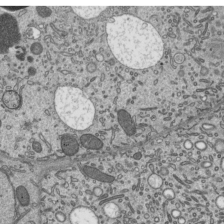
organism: Mouse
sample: Mouse epididymis efferent ductule cilia